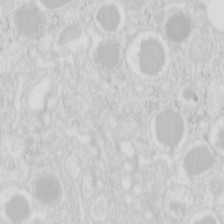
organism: Mouse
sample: Pancreas